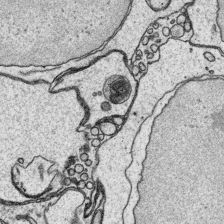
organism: Platynereis dumerilii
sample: Parapodia